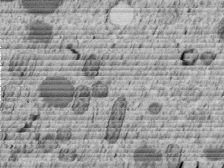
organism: C. elegans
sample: C. elegans embryo early stage